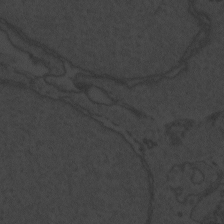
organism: Zebrafish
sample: Macrophage infected with Toxoplasma gondii